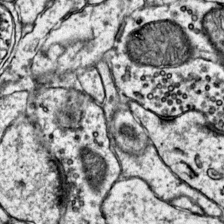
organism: Mouse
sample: Primary visual cortex